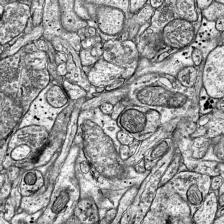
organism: Mouse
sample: Visual Cortex